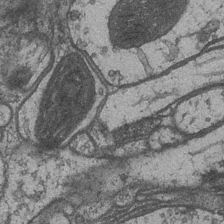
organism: Drosophila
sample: Optic medulla